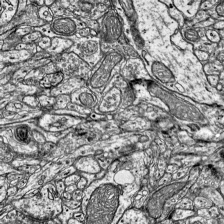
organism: Mouse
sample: Visual Cortex